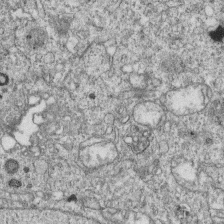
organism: Human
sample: HeLa cell HIV synapse